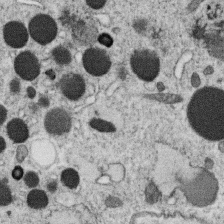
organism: C. elegans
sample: C. elegans oocyte; sperm cells